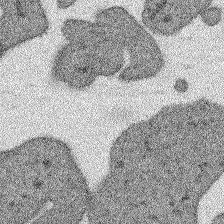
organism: Human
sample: HeLa cells